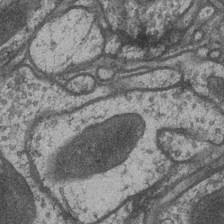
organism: Drosophila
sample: Optic medulla